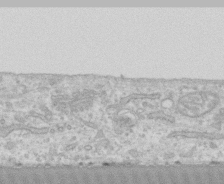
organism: Human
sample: CRL-1474